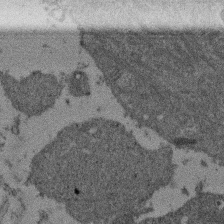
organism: Mouse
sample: Dividing mouse embryo 1 cell stage